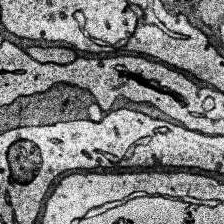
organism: Human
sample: Temporal Lobe